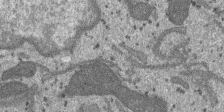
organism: Human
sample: Lung epithelial cells infected with SARS-CoV-2